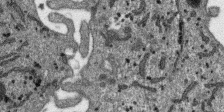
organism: Human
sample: Lung epithelial cells infected with SARS-CoV-2